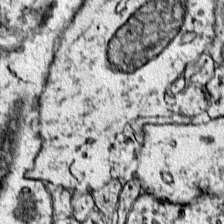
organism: Mouse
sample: Primary visual cortex